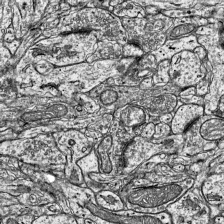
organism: Mouse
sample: Visual Cortex